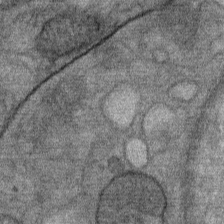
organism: Mouse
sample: Mouse Salivary gland